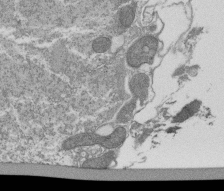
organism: Tetrahymena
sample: Cilia in tetrahymena